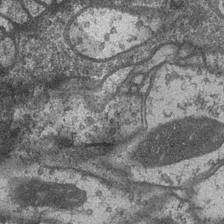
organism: Drosophila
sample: Optic medulla